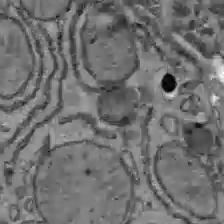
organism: C57BL Mouse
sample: Liver